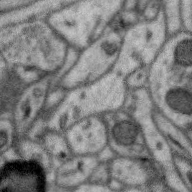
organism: Zebra finch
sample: Brain